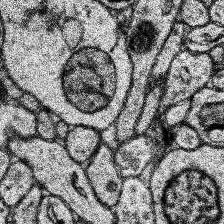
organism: Human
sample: Temporal Lobe